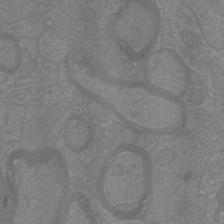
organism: Mouse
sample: Cortical neurons